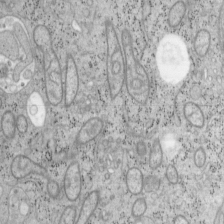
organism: Mouse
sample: OT-I killer T cells with ID8 ovarian cancer cells